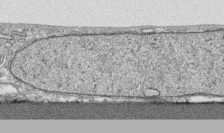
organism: Human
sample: CRL-1474